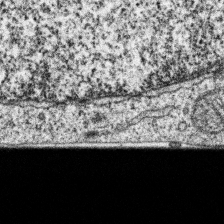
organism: Human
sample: HeLa cells